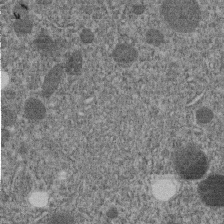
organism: C. elegans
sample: C. elegans embryo early stage